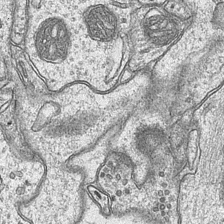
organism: Mouse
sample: CA1 Hippocampus